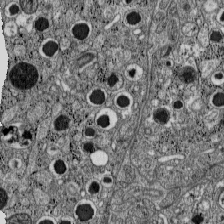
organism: C57BL Mouse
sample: Pancreatic islet